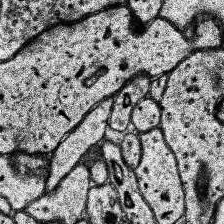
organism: Human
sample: Temporal Lobe